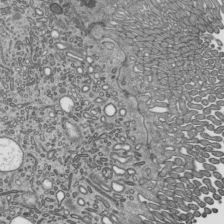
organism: Mouse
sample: Mouse epididymis efferent ductule cilia